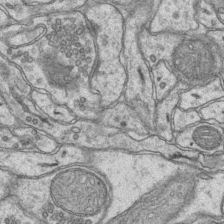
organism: Mouse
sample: CA1 Hippocampus